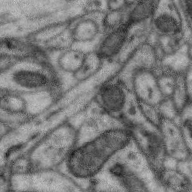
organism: Zebra finch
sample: Brain